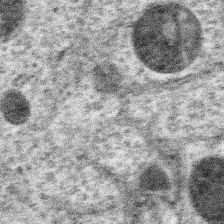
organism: Human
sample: HeLa cells